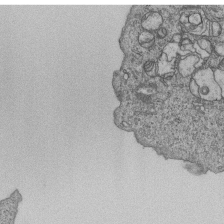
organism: Human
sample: MDA-MB-231 cells